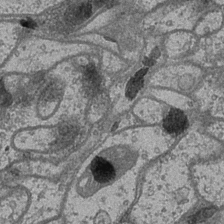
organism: Drosophila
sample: Optic medulla